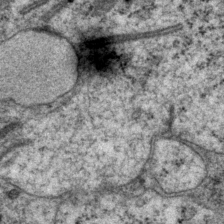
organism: P. pacificus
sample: Pharynx